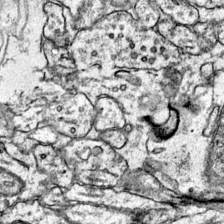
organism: Mouse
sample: Primary visual cortex